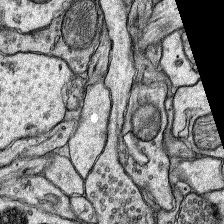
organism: Rat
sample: Hippocampus